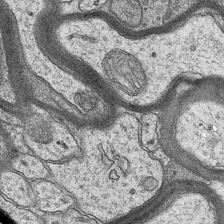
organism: Mouse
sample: CA1 Hippocampus